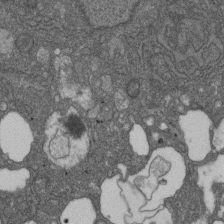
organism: Drosophila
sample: Nephrocyte